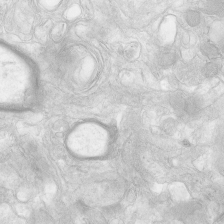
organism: Human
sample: Neocortex